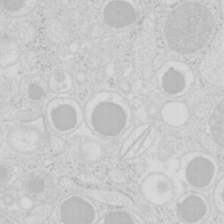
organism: Mouse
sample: Pancreas